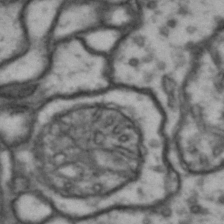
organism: Drosophila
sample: Brain